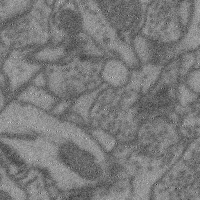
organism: Mouse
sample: Cerebral cortex